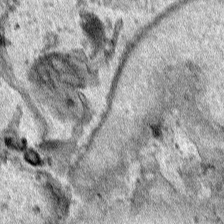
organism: Human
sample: Mitochondria in HCT116 cells